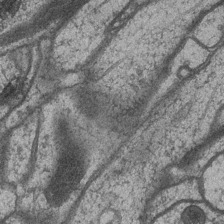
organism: Drosophila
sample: Optic medulla